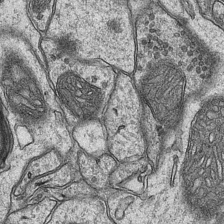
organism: Mouse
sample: CA1 Hippocampus